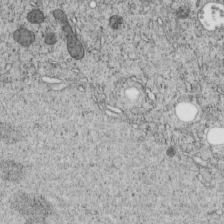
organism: C. elegans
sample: C. elegans embryo early stage